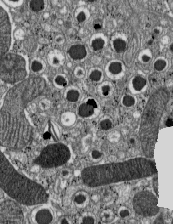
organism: C57BL Mouse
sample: Pancreatic islet